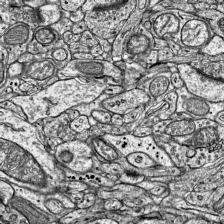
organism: Mouse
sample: Visual Cortex